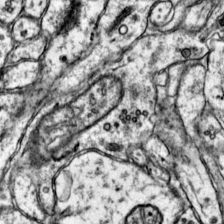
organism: Mouse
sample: Primary visual cortex